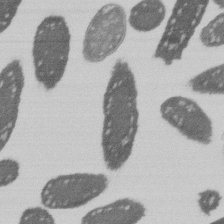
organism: E. coli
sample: Bacterial nucleoid